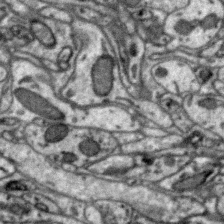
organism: Zebra finch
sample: Brain